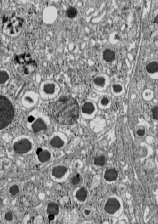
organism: C57BL Mouse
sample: Pancreatic islet